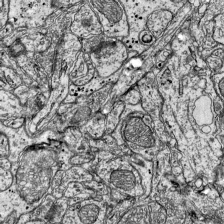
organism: Mouse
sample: Visual Cortex